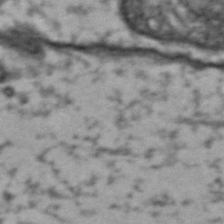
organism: Drosophila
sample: Brain